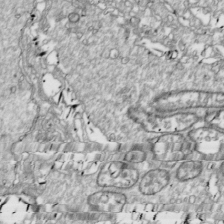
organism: Drosophila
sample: Cell division; meiosis; drosophila spermatocytes